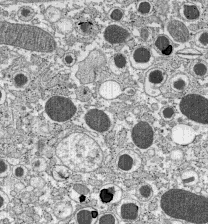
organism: C57BL Mouse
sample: Pancreatic islet